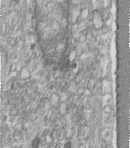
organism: Human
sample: Centriole in fibroblast cells